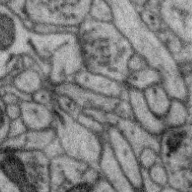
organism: Zebra finch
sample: Brain